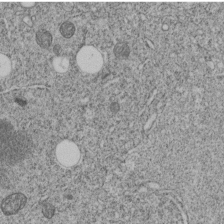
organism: C. elegans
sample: C. elegans embryo early stage